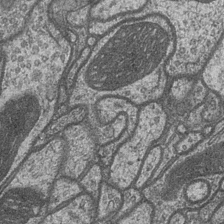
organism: Drosophila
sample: Optic medulla